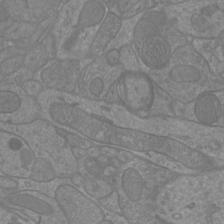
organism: Mouse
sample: Cortical neurons